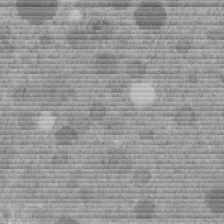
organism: C. elegans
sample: C. elegans embryo early stage